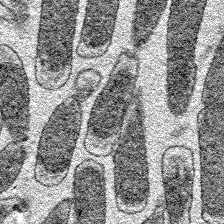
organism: E. coli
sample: E. Coli Bacteria